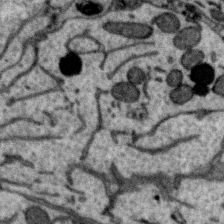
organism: Zebra finch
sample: Brain